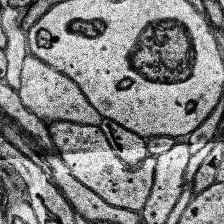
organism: Human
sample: Temporal Lobe